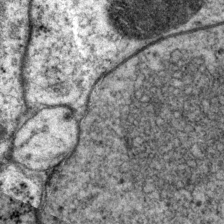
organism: P. pacificus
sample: Pharynx